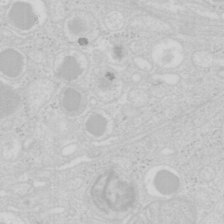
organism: Mouse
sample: Pancreas